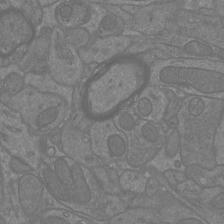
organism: Mouse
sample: Cortical neurons